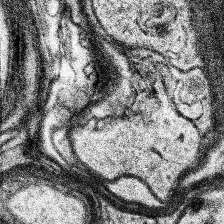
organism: Human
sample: Temporal Lobe